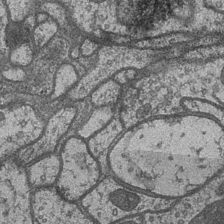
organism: Drosophila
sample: Optic medulla